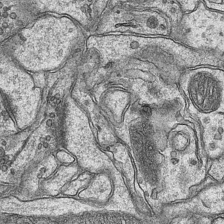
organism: Mouse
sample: CA1 Hippocampus